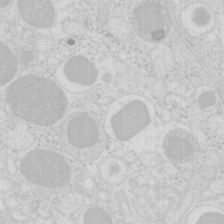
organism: Mouse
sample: Pancreas